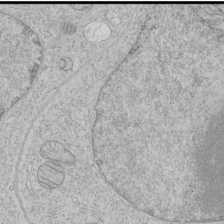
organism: Human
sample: Mitochondria in HCT116 cells